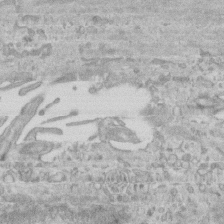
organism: Mouse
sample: Centriole in ependymal cells